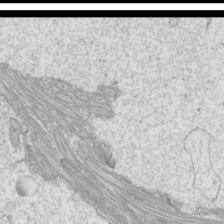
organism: Mouse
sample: Cilia; mouse epididymis